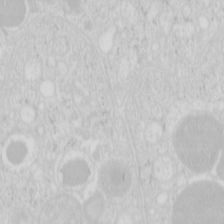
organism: Mouse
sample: Pancreas